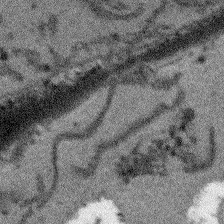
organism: Arabidopsis thaliana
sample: Root tip